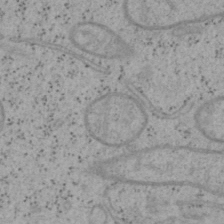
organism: Human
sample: HeLa cells